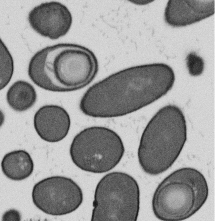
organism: B. subtilis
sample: Bacterial spore